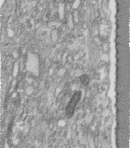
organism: Human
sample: Centriole in fibroblast cells